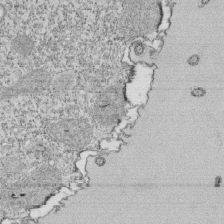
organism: Tetrahymena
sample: Cilia in tetrahymena